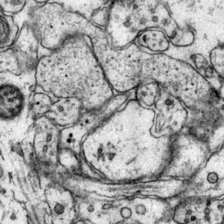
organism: Mouse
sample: Primary visual cortex